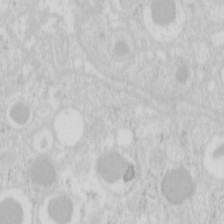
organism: Mouse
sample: Pancreas